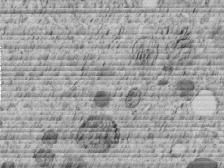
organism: C. elegans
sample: C. elegans embryo early stage